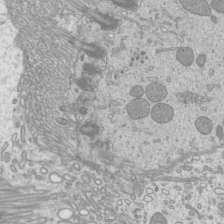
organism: Mouse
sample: Cilia; mouse epididymis